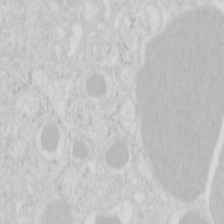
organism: Mouse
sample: Pancreas